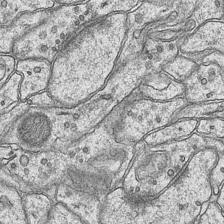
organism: Mouse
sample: CA1 Hippocampus